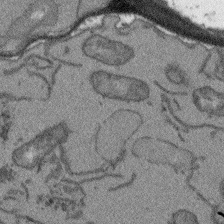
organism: Arabidopsis thaliana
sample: Root tip